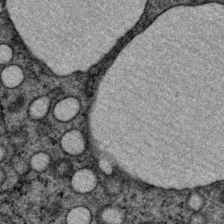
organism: P. pacificus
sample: Pharynx